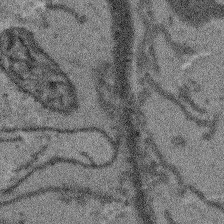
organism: Arabidopsis thaliana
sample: Root tip